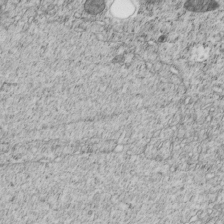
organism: C. elegans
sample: C. elegans embryo early stage